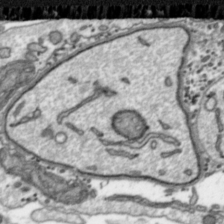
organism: Toxoplasma gondii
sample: Parasites in a vacuole inside a host cell